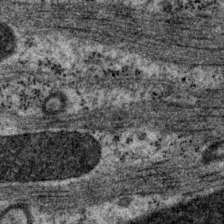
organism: P. pacificus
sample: Pharynx